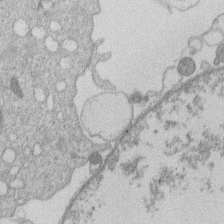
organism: Human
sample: Macrophage cells